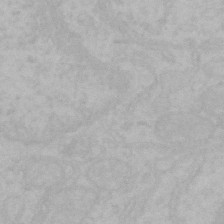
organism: Mouse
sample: Choroid plexus